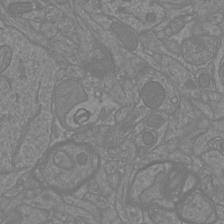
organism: Mouse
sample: Cortical neurons